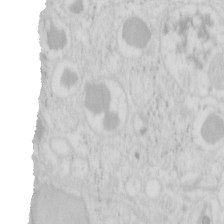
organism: Mouse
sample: Pancreas